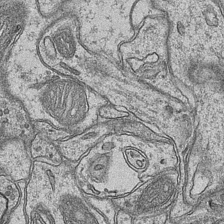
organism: Mouse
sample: CA1 Hippocampus